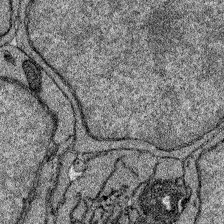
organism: Zebrafish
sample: Larval olfactory bulb